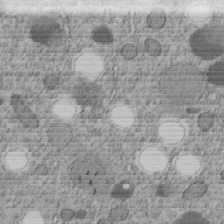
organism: C. elegans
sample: C. elegans embryo early stage